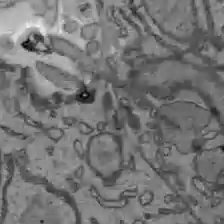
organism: C57BL Mouse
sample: Liver